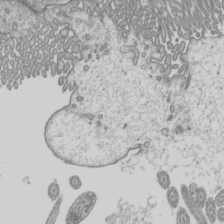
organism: Mouse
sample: Cilia; mouse epididymis